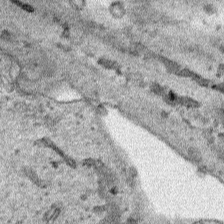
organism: Human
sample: Mitochondria in HCT116 cells